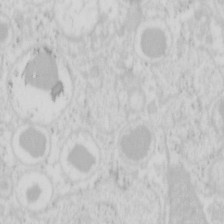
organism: Mouse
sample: Pancreas